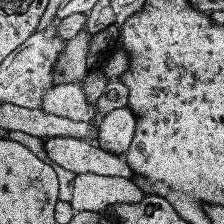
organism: Human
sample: Temporal Lobe